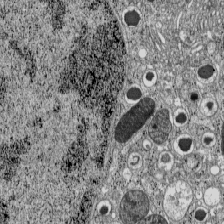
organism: C57BL Mouse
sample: Pancreatic islet